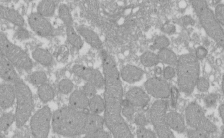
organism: Xenopus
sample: Cilia; centrioles in frog embryo cells